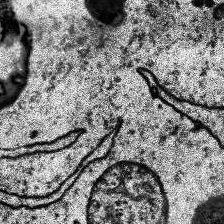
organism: Human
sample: Temporal Lobe